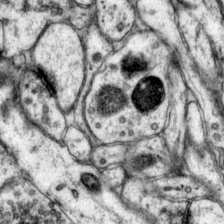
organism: Mouse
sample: Primary visual cortex